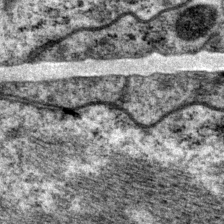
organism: P. pacificus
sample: Pharynx